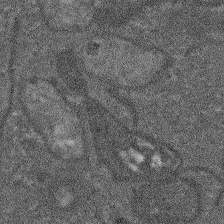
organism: Arabidopsis thaliana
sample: Root tip